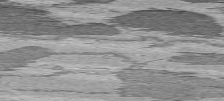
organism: C57BL Mouse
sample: Heart